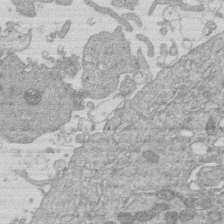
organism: Human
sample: Macrophage cells